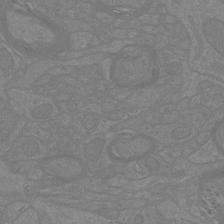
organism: Mouse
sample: Cortical neurons